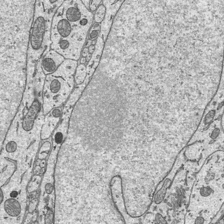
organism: Mouse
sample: Suprachiasmatic nucleus